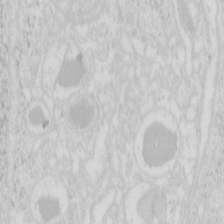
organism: Mouse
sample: Pancreas